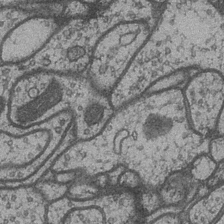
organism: Drosophila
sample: Optic medulla